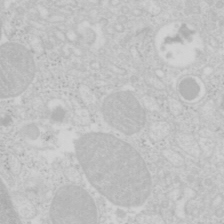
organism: Mouse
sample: Pancreas